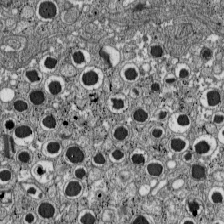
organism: C57BL Mouse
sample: Pancreatic islet